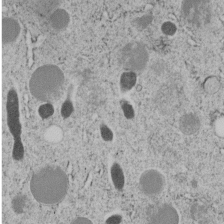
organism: C. elegans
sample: C. elegans embryo early stage